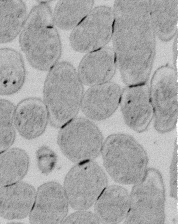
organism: E. coli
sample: Bacterial nucleoid